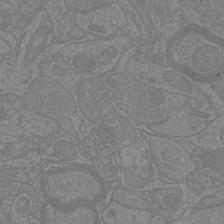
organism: Mouse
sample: Cortical neurons